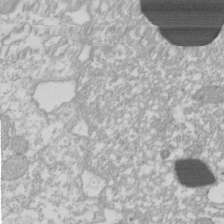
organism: Xenopus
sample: Cilia; centrioles in frog embryo cells